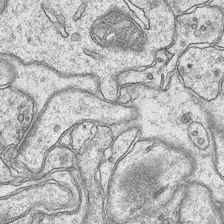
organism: Mouse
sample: CA1 Hippocampus